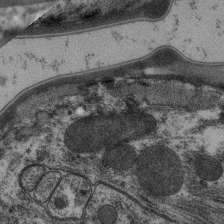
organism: C. elegans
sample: Pharynx